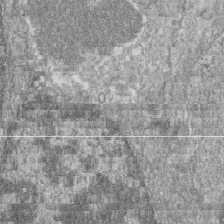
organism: Zebrafish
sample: Cilia; retinal pigment epithelium